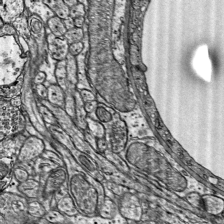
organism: Mouse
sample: Visual Cortex